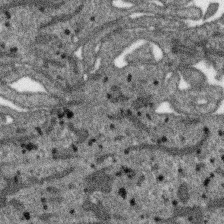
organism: Human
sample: Lung epithelial cells infected with SARS-CoV-2